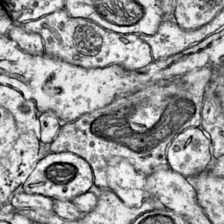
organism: Mouse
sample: Primary visual cortex